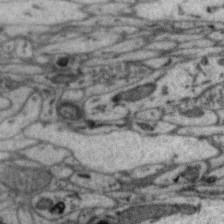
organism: Zebra finch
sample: Brain